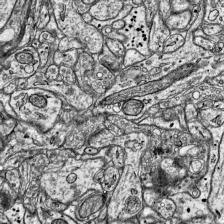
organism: Mouse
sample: Visual Cortex